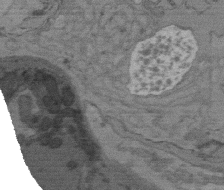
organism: C. elegans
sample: AFD neurons C. elegans